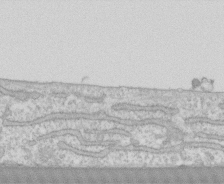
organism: Human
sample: CRL-1474